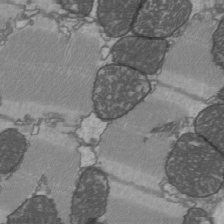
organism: C57BL Mouse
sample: Heart